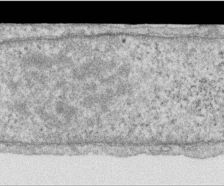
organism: Human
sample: Centriole in RPE cells